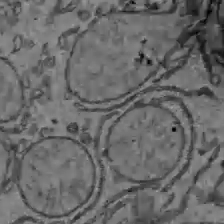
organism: C57BL Mouse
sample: Liver